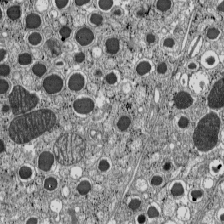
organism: C57BL Mouse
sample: Pancreatic islet